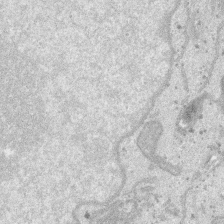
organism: Human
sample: Lung epithelial cells infected with SARS-CoV-2